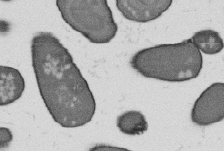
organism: B. subtilis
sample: Bacterial spore